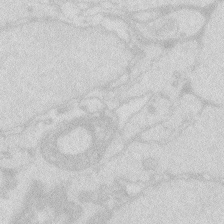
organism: Zebrafish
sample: Macrophage